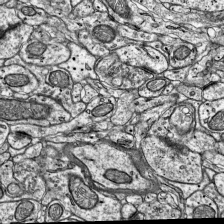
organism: Mouse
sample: Visual Cortex